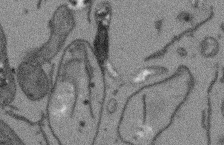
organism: Arabidopsis thaliana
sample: Root tip